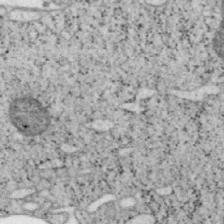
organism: Mouse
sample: OT-I killer T cells with ID8 ovarian cancer cells